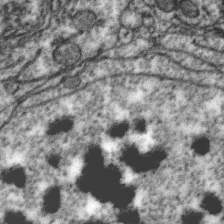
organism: Zebra finch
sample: Brain